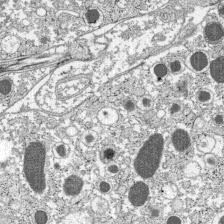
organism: C57BL Mouse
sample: Pancreatic islet